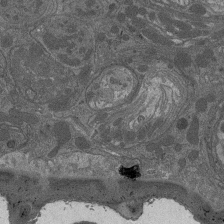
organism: Drosophila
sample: Antenna